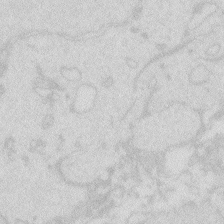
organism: Zebrafish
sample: Macrophage